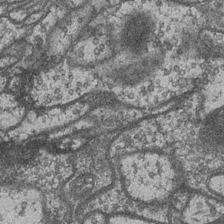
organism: Drosophila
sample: Optic medulla